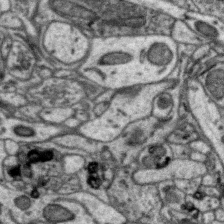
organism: Zebra finch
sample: Brain